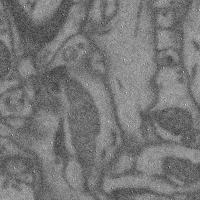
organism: Mouse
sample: Cerebral cortex